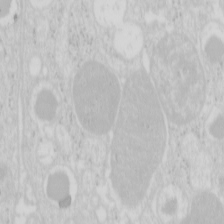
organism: Mouse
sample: Pancreas